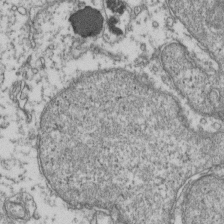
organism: Human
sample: Activated Jurkat CD4+ T cells